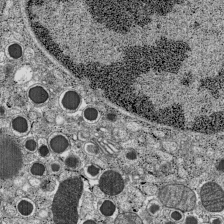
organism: C57BL Mouse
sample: Pancreatic islet